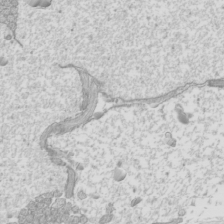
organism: Mouse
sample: Cilia; mouse epididymis